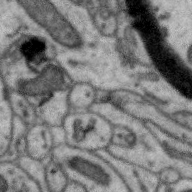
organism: Zebra finch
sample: Brain